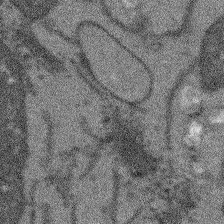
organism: Arabidopsis thaliana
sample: Root tip